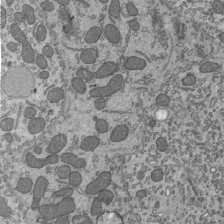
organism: Mouse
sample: Mouse epididymis efferent ductule cilia